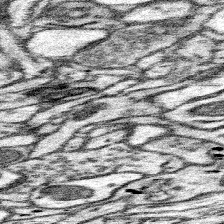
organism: Mouse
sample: Somatosensory cortex neuropil